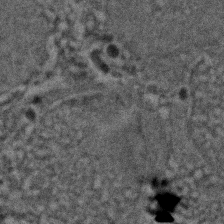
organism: Zebrafish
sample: Zebrafish embryo